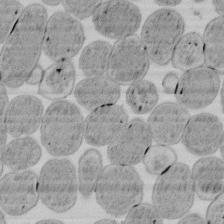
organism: E. coli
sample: Bacterial nucleoid